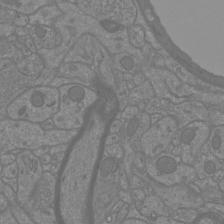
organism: Mouse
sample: Cortical neurons